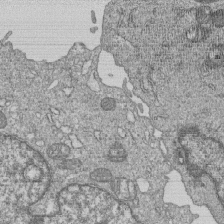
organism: Human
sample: MDA-MB-231 cells